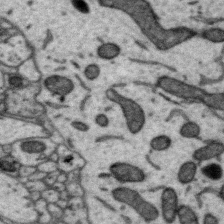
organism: Zebra finch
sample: Brain